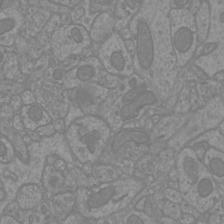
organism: Mouse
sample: Cortical neurons